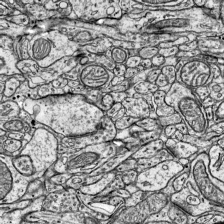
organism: Mouse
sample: Visual Cortex